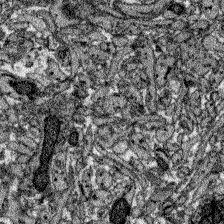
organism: Zebrafish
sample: Larval olfactory bulb